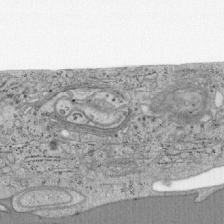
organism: Human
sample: HeLa cells